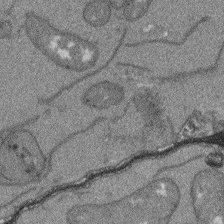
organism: Arabidopsis thaliana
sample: Root tip